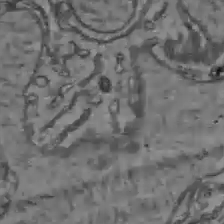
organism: C57BL Mouse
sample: Liver